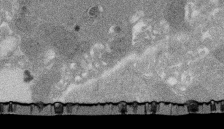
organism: Rat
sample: Salivary granule